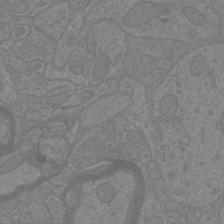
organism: Mouse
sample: Cortical neurons